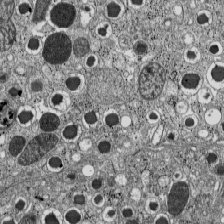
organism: C57BL Mouse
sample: Pancreatic islet